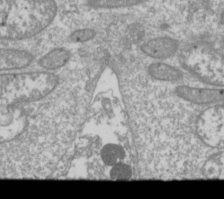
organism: Drosophila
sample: Cell division; meiosis; drosophila spermatocytes